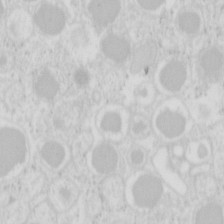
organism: Mouse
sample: Pancreas